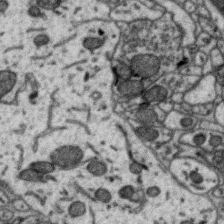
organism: Zebra finch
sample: Brain